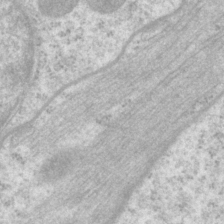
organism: P. pacificus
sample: Pharynx